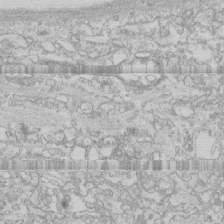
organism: Human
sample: CRL-1474